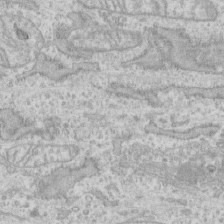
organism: Human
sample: CRL-1474